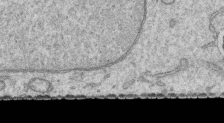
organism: Human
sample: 1205lu cells